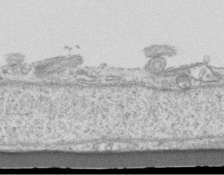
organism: Mouse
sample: Centriole in ependymal cells